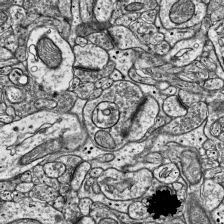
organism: Mouse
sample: Visual Cortex